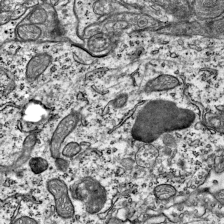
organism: Mouse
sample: Visual Cortex